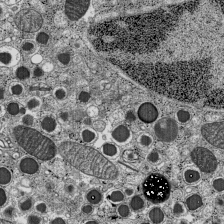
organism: C57BL Mouse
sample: Pancreatic islet